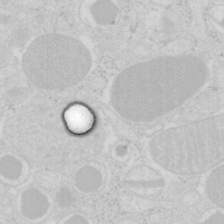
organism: Mouse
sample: Pancreas